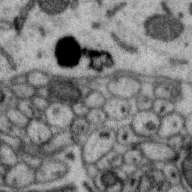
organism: Zebra finch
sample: Brain